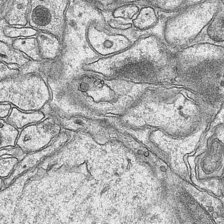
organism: Mouse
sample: CA1 Hippocampus